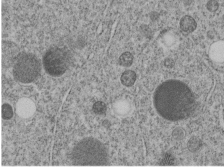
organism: C. elegans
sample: C. elegans embryo early stage